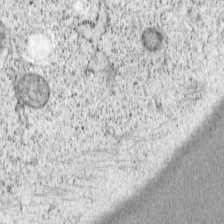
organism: African green monkey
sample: COS-7 cells